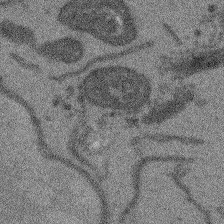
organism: Arabidopsis thaliana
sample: Root tip